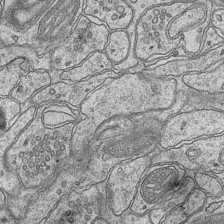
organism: Mouse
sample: CA1 Hippocampus